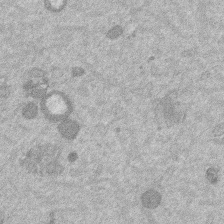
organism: Mouse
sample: Dividing mouse embryo 1 cell stage